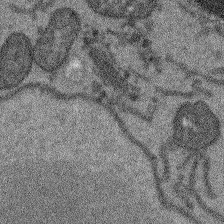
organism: Arabidopsis thaliana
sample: Root tip